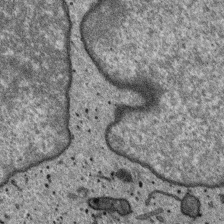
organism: Human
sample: Lung epithelial cells, uninfected (mock) control